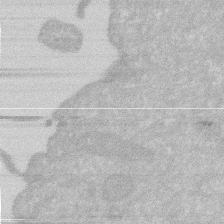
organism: Human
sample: HIV infected U937 cells